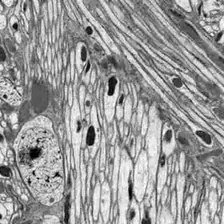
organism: Drosophila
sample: Optic lobe